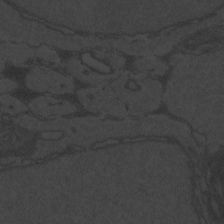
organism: Zebrafish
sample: Macrophage infected with Toxoplasma gondii